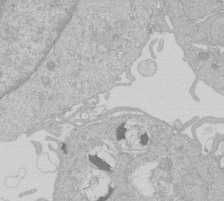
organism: Human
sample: Macrophage cells